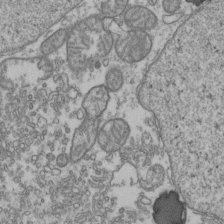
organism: Human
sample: Activated Jurkat CD4+ T cells